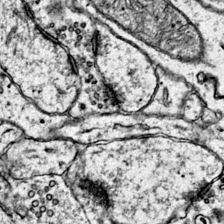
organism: Mouse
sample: Primary visual cortex